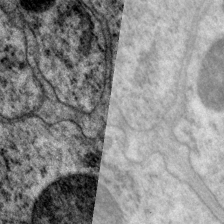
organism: P. pacificus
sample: Pharynx